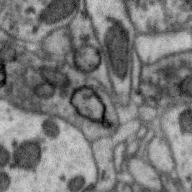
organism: Zebra finch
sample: Brain